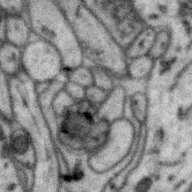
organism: Zebra finch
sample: Brain